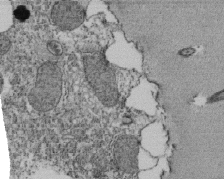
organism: Tetrahymena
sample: Cilia in tetrahymena